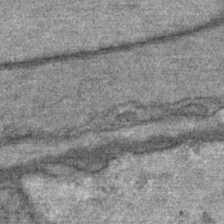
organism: Mouse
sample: Mouse Salivary gland